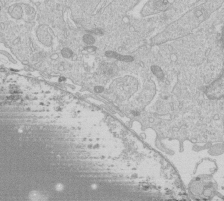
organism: Human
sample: Macrophage cells